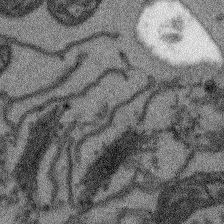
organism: Arabidopsis thaliana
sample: Root tip